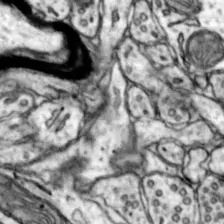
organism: Mouse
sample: Nucleus accumbens